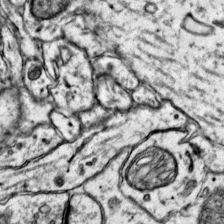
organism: Mouse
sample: Primary visual cortex